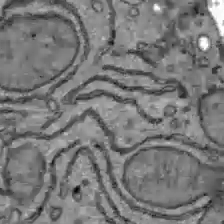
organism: C57BL Mouse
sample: Liver